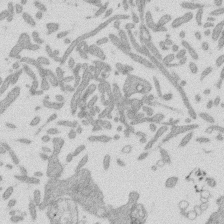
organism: Mouse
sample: Dividing mouse embryo 1 cell stage